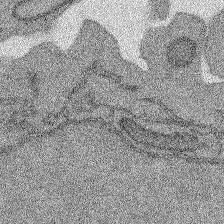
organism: Human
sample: HeLa cells